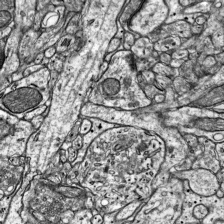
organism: Mouse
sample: Visual Cortex